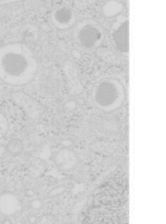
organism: Mouse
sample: Pancreas